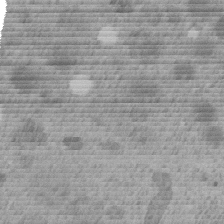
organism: C. elegans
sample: C. elegans embryo early stage